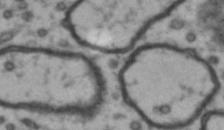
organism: Drosophila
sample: Brain